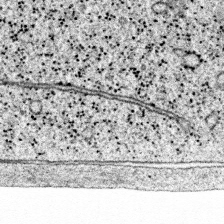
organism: Human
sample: HeLa cells